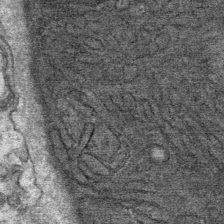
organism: Mouse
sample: Mouse Salivary gland